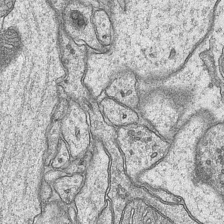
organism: Mouse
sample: CA1 Hippocampus